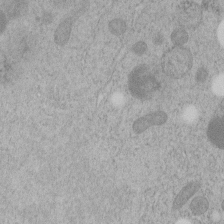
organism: C. elegans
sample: C. elegans embryo early stage